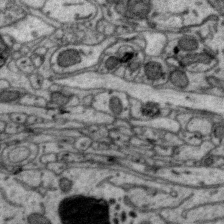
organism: Zebra finch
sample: Brain